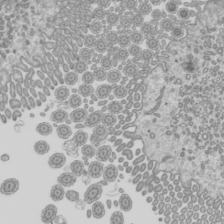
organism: Mouse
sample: Cilia; mouse epididymis